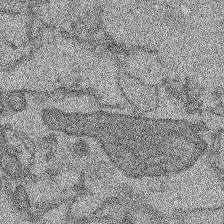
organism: Human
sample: HeLa cells